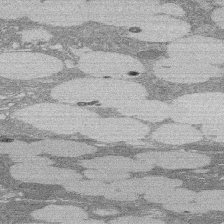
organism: Rat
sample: Salivary granule